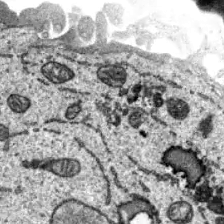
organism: Human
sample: HeLa cells